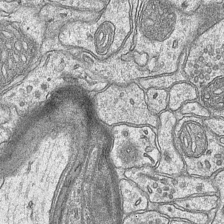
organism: Mouse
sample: CA1 Hippocampus